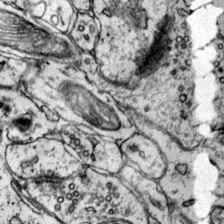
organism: Mouse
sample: Primary visual cortex